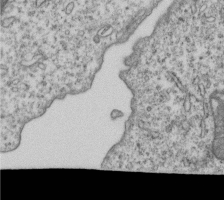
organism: Human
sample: MDA-MB-231 cells